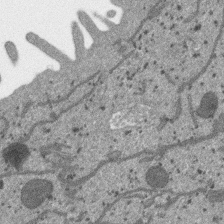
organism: Human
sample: Lung epithelial cells infected with SARS-CoV-2